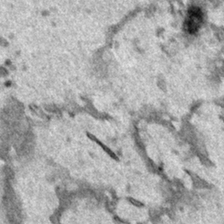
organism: Human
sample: Mitochondria in HCT116 cells